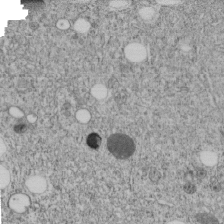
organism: C. elegans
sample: C. elegans embryo early stage